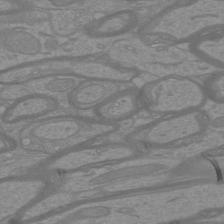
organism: Mouse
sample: Cortical neurons